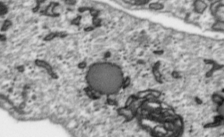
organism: Toxoplasma gondii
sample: Parasites in a vacuole inside a host cell